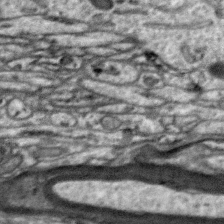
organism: Zebra finch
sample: Brain